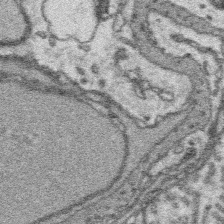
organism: Platynereis dumerilii